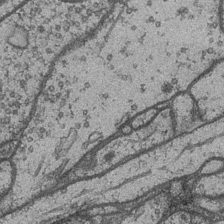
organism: Drosophila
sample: Optic medulla